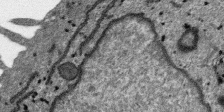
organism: Human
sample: Lung epithelial cells, uninfected (mock) control